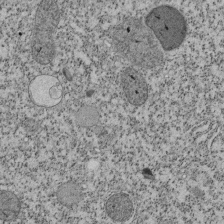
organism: Tetrahymena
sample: Cilia in tetrahymena